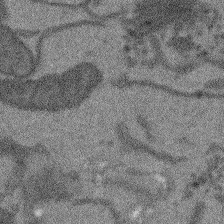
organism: Arabidopsis thaliana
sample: Root tip